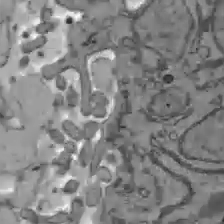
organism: C57BL Mouse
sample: Liver